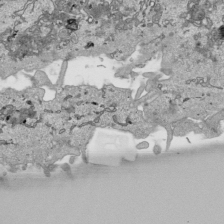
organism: Human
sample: Mitochondria in HCT116 cells